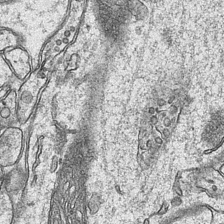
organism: Mouse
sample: CA1 Hippocampus